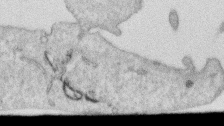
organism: Human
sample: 1205lu cells